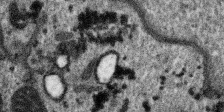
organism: Human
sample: Lung epithelial cells infected with SARS-CoV-2